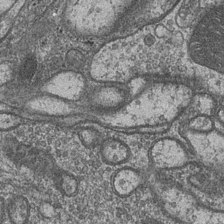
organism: Drosophila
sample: Optic medulla